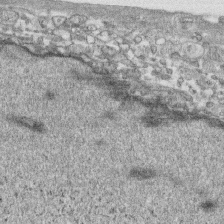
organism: Human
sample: CRL-1474